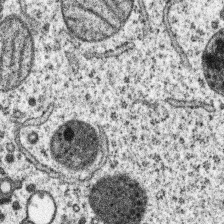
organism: Human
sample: HeLa cells